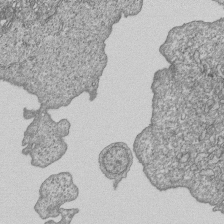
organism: Human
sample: MDA-MB-231 cells